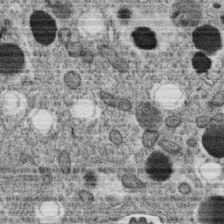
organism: C. elegans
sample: C. elegans oocyte; sperm cells